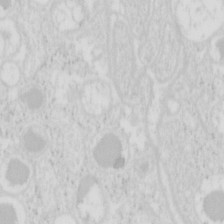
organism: Mouse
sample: Pancreas